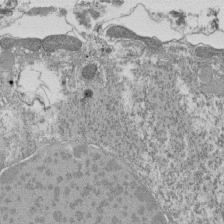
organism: Tetrahymena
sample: Cilia in tetrahymena